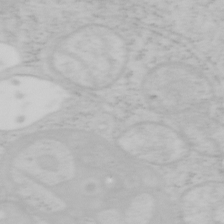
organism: Mouse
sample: OT-I killer T cells with ID8 ovarian cancer cells